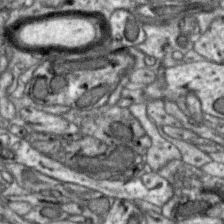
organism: Zebra finch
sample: Brain